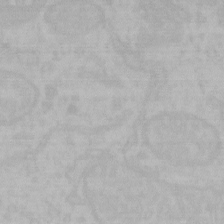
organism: Mouse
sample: Choroid plexus